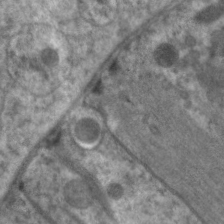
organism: C. elegans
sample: Pharynx